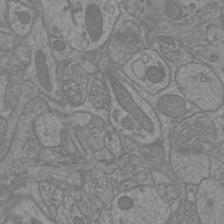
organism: Mouse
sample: Cortical neurons